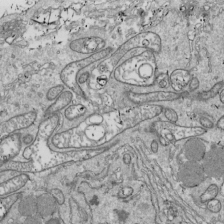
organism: Drosophila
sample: Cell division; meiosis; drosophila spermatocytes